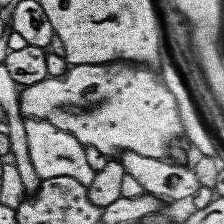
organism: Human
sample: Temporal Lobe